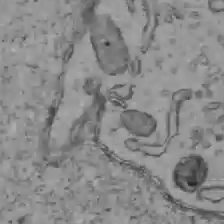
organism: C57BL Mouse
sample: Liver